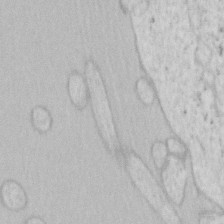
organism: Human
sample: HeLa cells